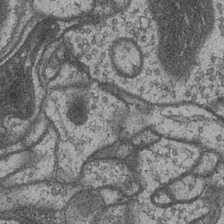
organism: Drosophila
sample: Optic medulla